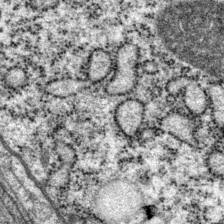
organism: P. pacificus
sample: Pharynx